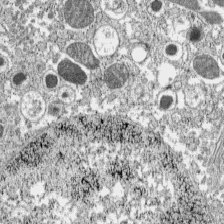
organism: C57BL Mouse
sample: Pancreatic islet